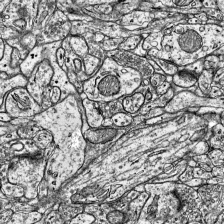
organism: Mouse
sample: Visual Cortex